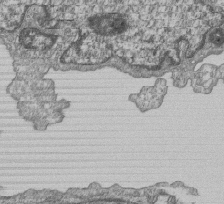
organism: Human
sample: MDA-MB-231 cells